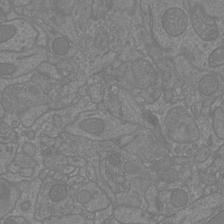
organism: Mouse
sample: Cortical neurons